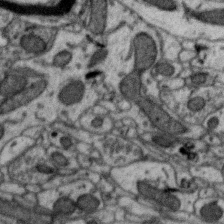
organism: Zebra finch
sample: Brain